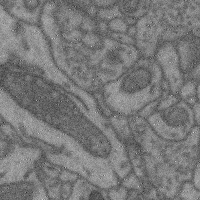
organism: Mouse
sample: Cerebral cortex